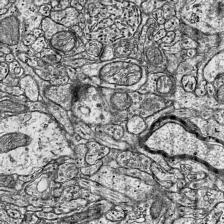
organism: Mouse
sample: Visual Cortex